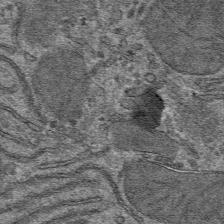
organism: Mouse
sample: Mouse hepatocytes